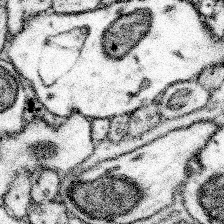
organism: Mouse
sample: Somatosensory cortex neuropil